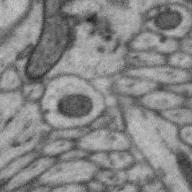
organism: Zebra finch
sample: Brain